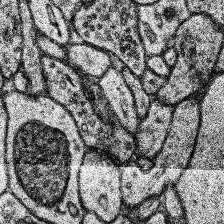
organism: Human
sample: Temporal Lobe